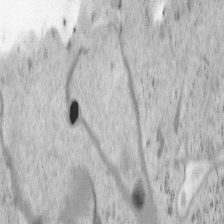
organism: Human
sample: HeLa cells